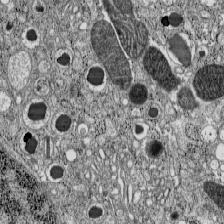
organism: C57BL Mouse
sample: Pancreatic islet